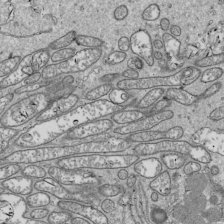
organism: Drosophila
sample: Cell division; meiosis; drosophila spermatocytes